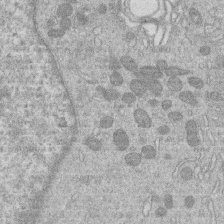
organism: Human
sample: Macrophage cells